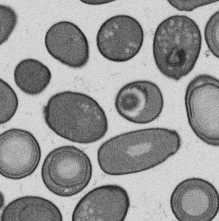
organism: B. subtilis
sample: Bacterial spore